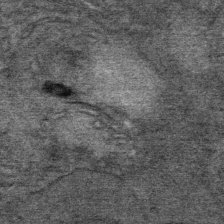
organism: Mouse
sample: Mouse Salivary gland